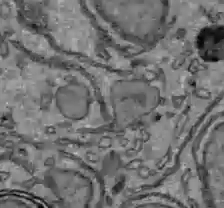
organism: C57BL Mouse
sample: Liver